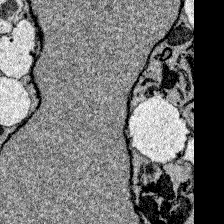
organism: Zebrafish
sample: Larval olfactory bulb